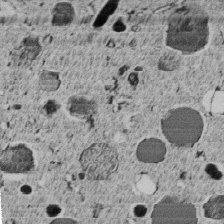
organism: C. elegans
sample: C. elegans embryo early stage